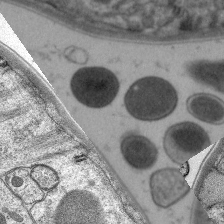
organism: C. elegans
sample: Pharynx